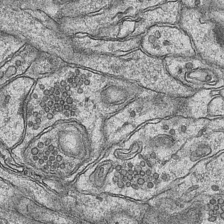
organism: Mouse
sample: CA1 Hippocampus